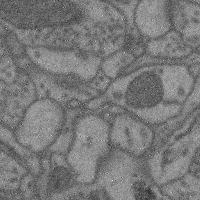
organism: Mouse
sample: Cerebral cortex